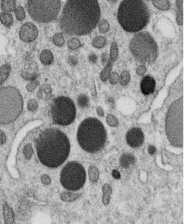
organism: C. elegans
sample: C. elegans oocyte; sperm cells